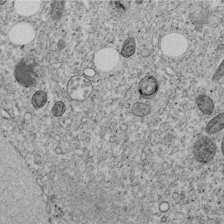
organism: C. elegans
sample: C. elegans embryo early stage